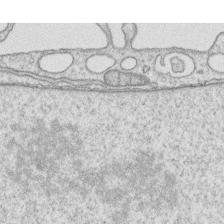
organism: Human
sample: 1205lu cells